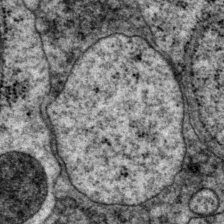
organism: P. pacificus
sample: Pharynx